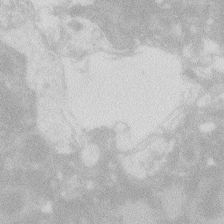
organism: Zebrafish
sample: Macrophage